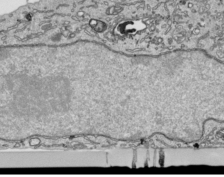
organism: Human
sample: Mitochondria in HCT116 cells